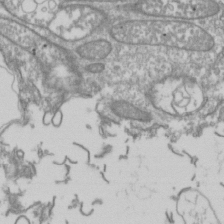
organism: Drosophila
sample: Cell division; meiosis; drosophila spermatocytes